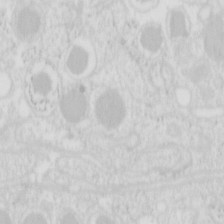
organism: Mouse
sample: Pancreas